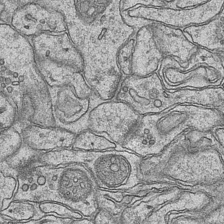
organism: Mouse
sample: CA1 Hippocampus